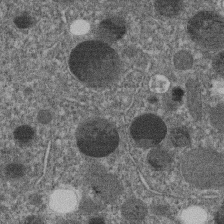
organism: C. elegans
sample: C. elegans embryo early stage